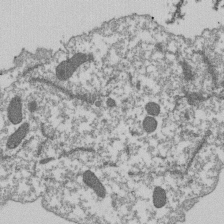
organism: Dictyostelium discoideum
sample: Dictyostelium multivesicular bodies